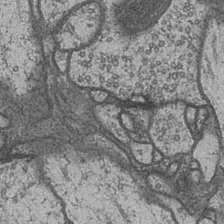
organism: Drosophila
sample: Optic medulla